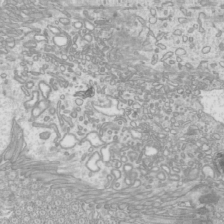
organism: Mouse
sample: Cilia; mouse epididymis